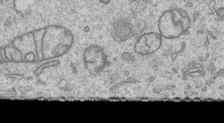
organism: Human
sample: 1205lu cells